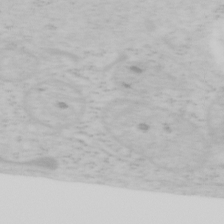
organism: Mouse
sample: OT-I killer T cells with ID8 ovarian cancer cells